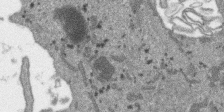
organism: Human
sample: Lung epithelial cells infected with SARS-CoV-2